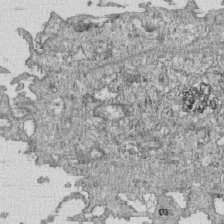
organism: Human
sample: HeLa cell HIV synapse